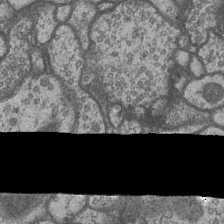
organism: Drosophila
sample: Optic medulla